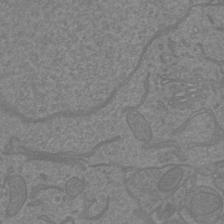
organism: Mouse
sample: Cortical neurons